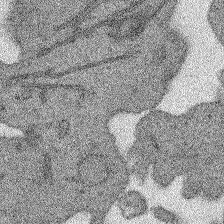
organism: Human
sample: HeLa cells